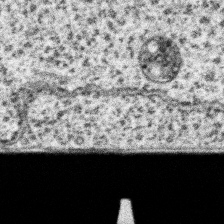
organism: Human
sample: HeLa cells